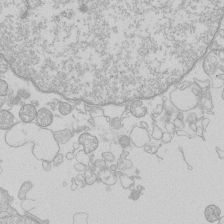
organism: Human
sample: Macrophage cells